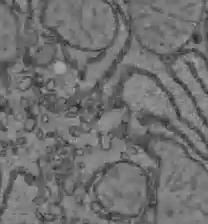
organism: C57BL Mouse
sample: Liver